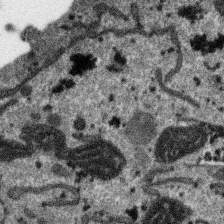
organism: Human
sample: Lung epithelial cells infected with SARS-CoV-2